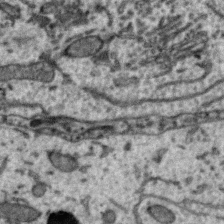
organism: Zebra finch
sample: Brain